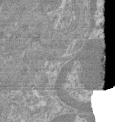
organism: Mouse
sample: Glomerulus